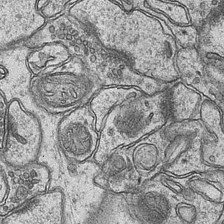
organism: Mouse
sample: CA1 Hippocampus